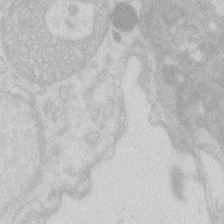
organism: Zebrafish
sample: Macrophage